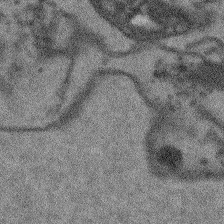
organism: Arabidopsis thaliana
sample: Root tip